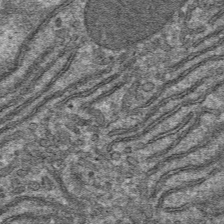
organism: Mouse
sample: Mouse hepatocytes